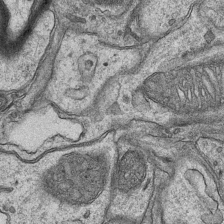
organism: Mouse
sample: CA1 Hippocampus